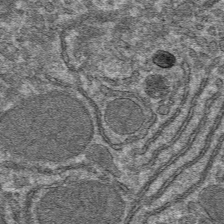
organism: Mouse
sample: Mouse hepatocytes